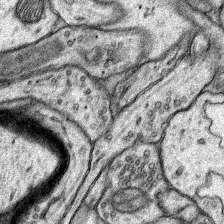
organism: Rat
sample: Hippocampus